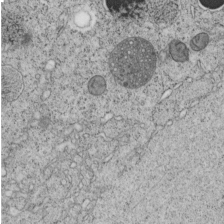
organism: C. elegans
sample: C. elegans embryo early stage